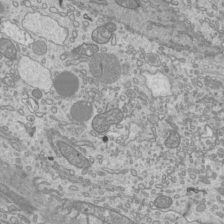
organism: Mouse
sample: Cilia; mouse epididymis